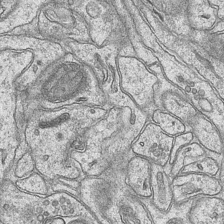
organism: Mouse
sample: CA1 Hippocampus